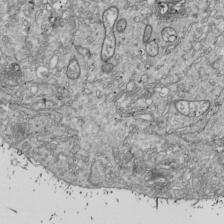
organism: Drosophila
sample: Cell division; meiosis; drosophila spermatocytes